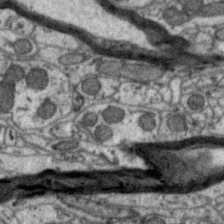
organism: Zebra finch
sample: Brain